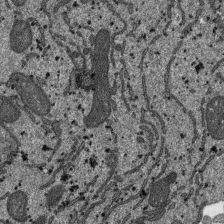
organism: Human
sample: Lung epithelial cells infected with SARS-CoV-2